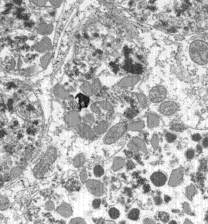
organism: C57BL Mouse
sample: Pancreatic islet